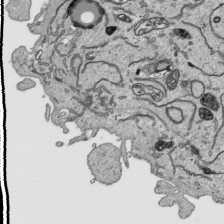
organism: Human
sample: Mitochondria in HCT116 cells